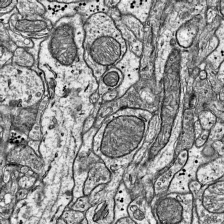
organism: Mouse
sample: Visual Cortex